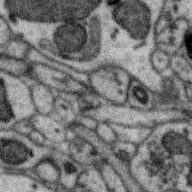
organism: Zebra finch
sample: Brain